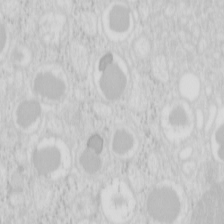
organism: Mouse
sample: Pancreas